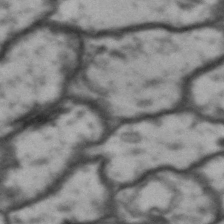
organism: Drosophila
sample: Brain